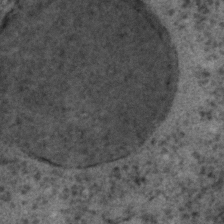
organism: C. elegans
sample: C. elegans embryo